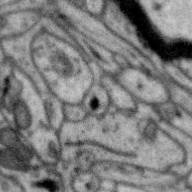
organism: Zebra finch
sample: Brain